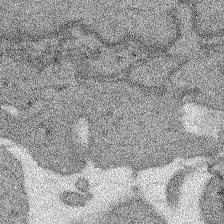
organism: Human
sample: HeLa cells